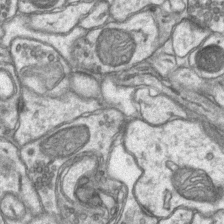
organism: Mouse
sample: CA1 Hippocampus